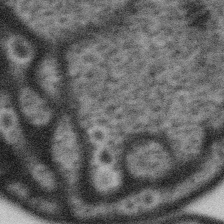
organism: Gemmata obscuriglobus